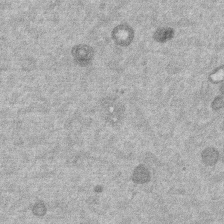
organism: Mouse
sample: Dividing mouse embryo 1 cell stage